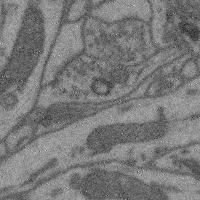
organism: Mouse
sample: Cerebral cortex